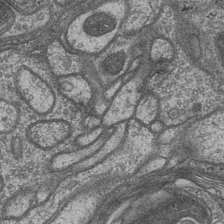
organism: Drosophila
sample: Optic medulla